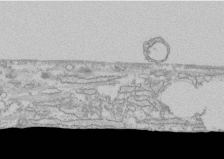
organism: Human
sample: CRL-1474